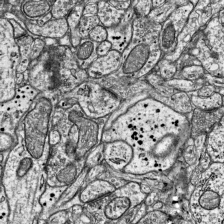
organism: Mouse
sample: Visual Cortex